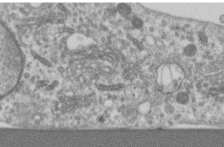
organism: Human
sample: Centriole in RPE cells